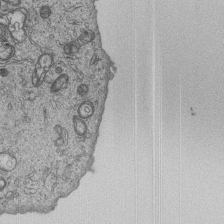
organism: Human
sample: MDA-MB-231 cells